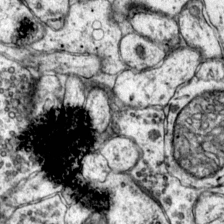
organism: Mouse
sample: Primary visual cortex